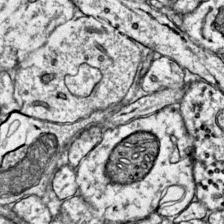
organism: Mouse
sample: Primary visual cortex